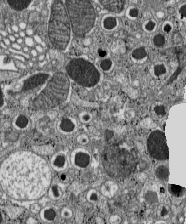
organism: C57BL Mouse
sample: Pancreatic islet